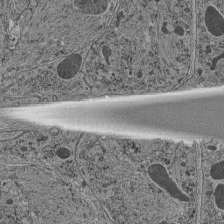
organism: C. elegans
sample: C. elegans pharynx